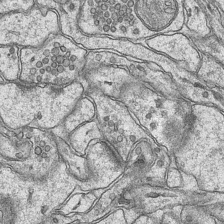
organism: Mouse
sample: CA1 Hippocampus